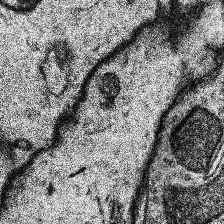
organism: Human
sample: Temporal Lobe